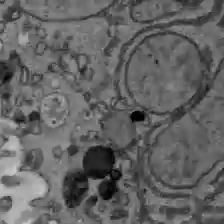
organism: C57BL Mouse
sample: Liver